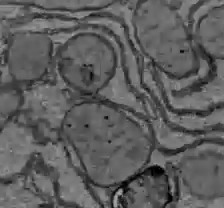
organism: C57BL Mouse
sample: Liver